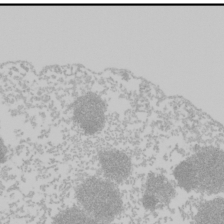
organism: Mouse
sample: Cancer cell death in ED-1 cells